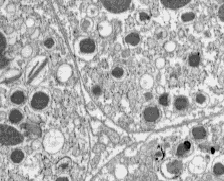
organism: C57BL Mouse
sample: Pancreatic islet